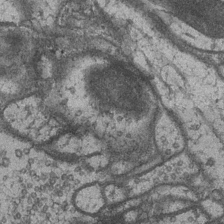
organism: Drosophila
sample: Optic medulla